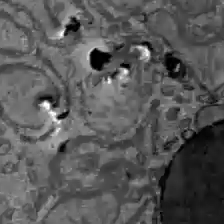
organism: C57BL Mouse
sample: Liver